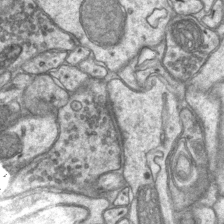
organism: Mouse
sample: CA1 Hippocampus